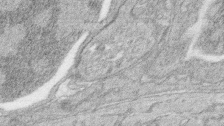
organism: Zebrafish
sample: synaptic ribbons in rod cells and cone cells